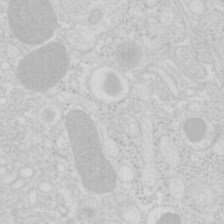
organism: Mouse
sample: Pancreas